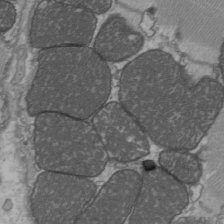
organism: C57BL Mouse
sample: Heart